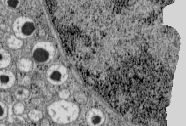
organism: C57BL Mouse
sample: Pancreatic islet